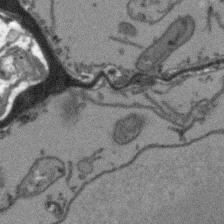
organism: Arabidopsis thaliana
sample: Root tip